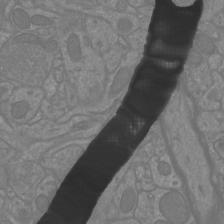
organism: Mouse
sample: Cortical neurons